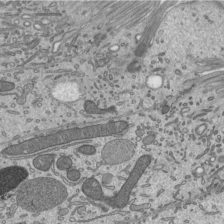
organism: Mouse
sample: Mouse epididymis efferent ductule cilia